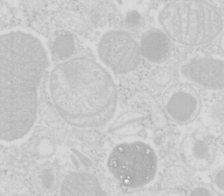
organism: Mouse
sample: Pancreas